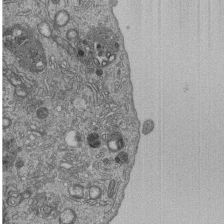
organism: Human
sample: MDA-MB-231 cells